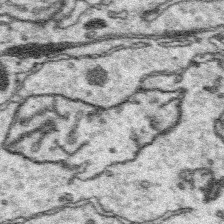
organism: Platynereis dumerilii